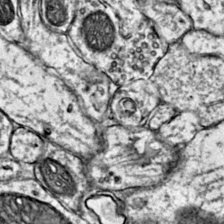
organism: Mouse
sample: Primary visual cortex